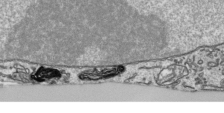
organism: Human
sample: Mitochondria in HCT116 cells